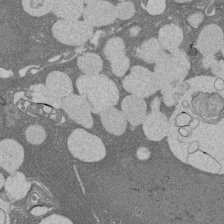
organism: Rat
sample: Salivary granule